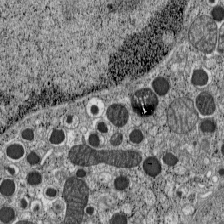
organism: C57BL Mouse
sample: Pancreatic islet